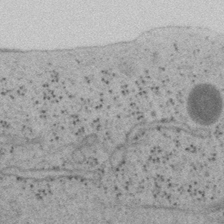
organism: Human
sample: HeLa cells